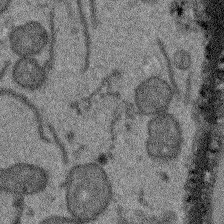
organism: Arabidopsis thaliana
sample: Root tip